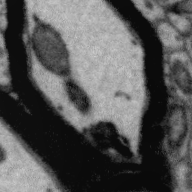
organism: Zebra finch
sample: Brain